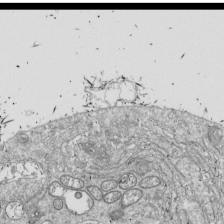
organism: Drosophila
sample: Cell division; meiosis; drosophila spermatocytes